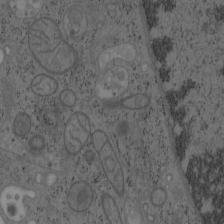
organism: Mouse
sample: OT-I killer T cells with ID8 ovarian cancer cells